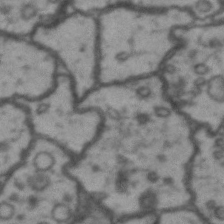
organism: Drosophila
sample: Brain